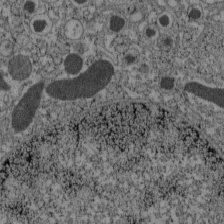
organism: C57BL Mouse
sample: Pancreatic islet